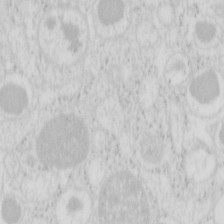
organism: Mouse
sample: Pancreas